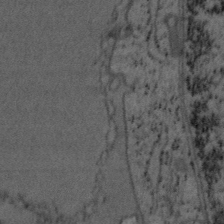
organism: Human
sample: HeLa cells